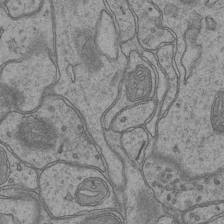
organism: Mouse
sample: CA1 Hippocampus